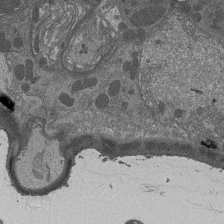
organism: Drosophila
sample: Antenna